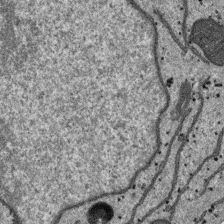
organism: Human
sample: Lung epithelial cells, uninfected (mock) control